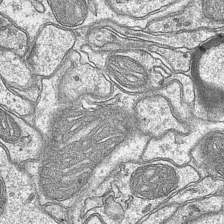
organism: Mouse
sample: CA1 Hippocampus